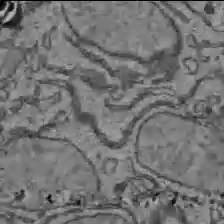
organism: C57BL Mouse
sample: Liver